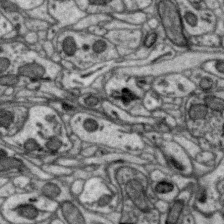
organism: Zebra finch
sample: Brain